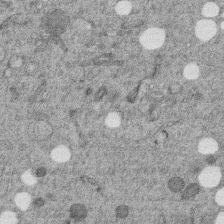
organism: C. elegans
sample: C. elegans embryo early stage